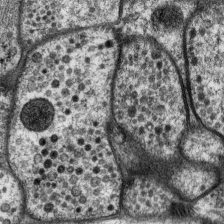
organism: P. pacificus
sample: Pharynx